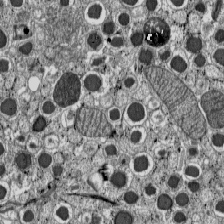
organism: C57BL Mouse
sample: Pancreatic islet